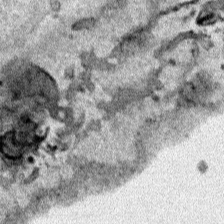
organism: Human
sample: Mitochondria in HCT116 cells